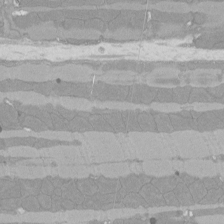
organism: Rat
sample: Left ventricle